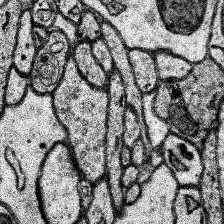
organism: Human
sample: Temporal Lobe